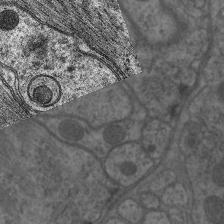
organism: C. elegans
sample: Pharynx